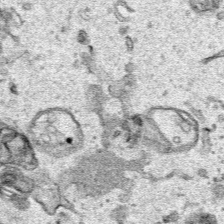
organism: Human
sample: Mitochondria in HCT116 cells